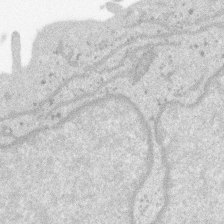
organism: Human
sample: Lung epithelial cells infected with SARS-CoV-2